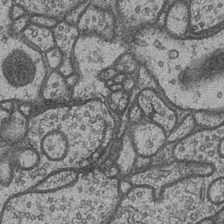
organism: Drosophila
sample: Optic medulla